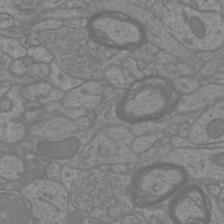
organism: Mouse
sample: Cortical neurons